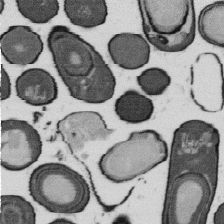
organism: B. subtilis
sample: Bacterial spore